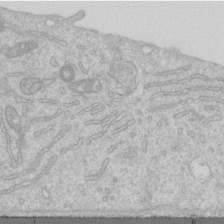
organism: Human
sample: Centriole in RPE cells